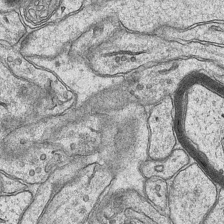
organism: Mouse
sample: CA1 Hippocampus